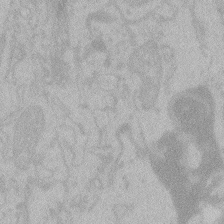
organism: Zebrafish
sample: Macrophage infected with Toxoplasma gondii